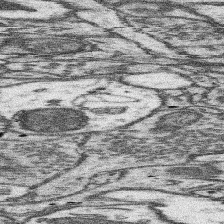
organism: Mouse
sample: Somatosensory cortex neuropil